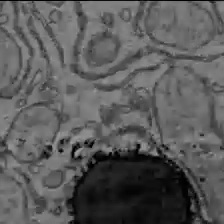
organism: C57BL Mouse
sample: Liver